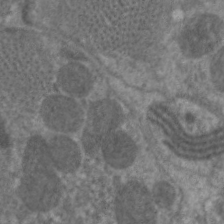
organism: C. elegans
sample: Pharynx